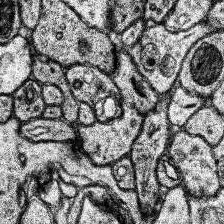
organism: Human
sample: Temporal Lobe